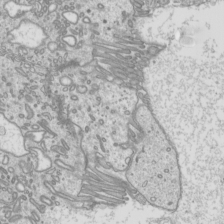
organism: Mouse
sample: Cilia; mouse epididymis